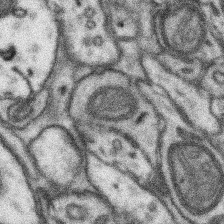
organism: Mouse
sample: Somatosensory cortex neuropil